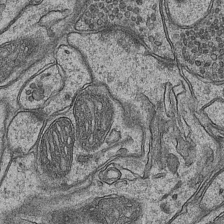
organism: Mouse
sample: CA1 Hippocampus